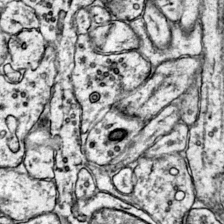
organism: Mouse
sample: Primary visual cortex